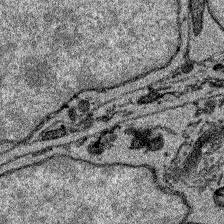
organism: Zebrafish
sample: Larval olfactory bulb